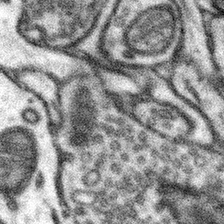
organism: Mouse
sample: Somatosensory cortex neuropil